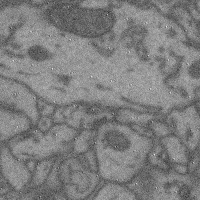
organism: Mouse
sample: Cerebral cortex